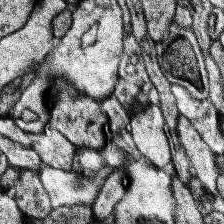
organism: Human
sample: Temporal Lobe